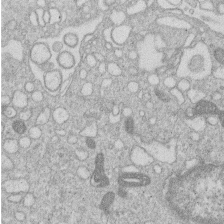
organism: Human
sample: Macrophage cells